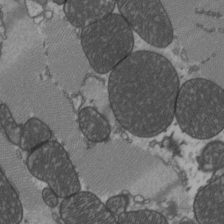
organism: C57BL Mouse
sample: Heart